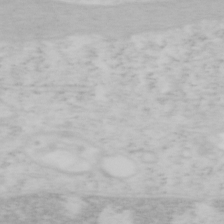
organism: Mouse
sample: OT-I killer T cells with ID8 ovarian cancer cells